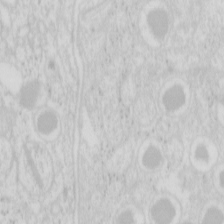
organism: Mouse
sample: Pancreas